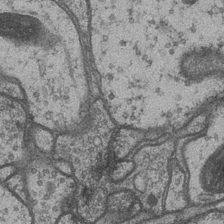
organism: Drosophila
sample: Optic medulla